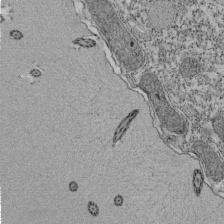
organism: Tetrahymena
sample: Cilia in tetrahymena